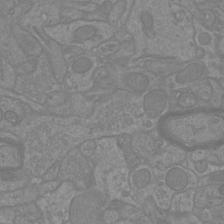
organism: Mouse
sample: Cortical neurons